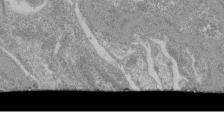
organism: Mouse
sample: Glomerulus